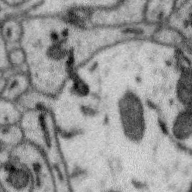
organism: Zebra finch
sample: Brain